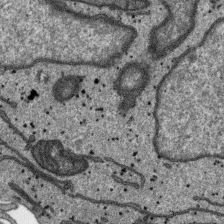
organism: Human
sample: Lung epithelial cells, uninfected (mock) control